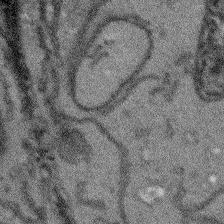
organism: Arabidopsis thaliana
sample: Root tip